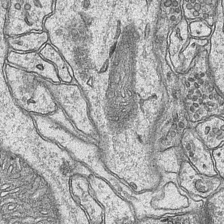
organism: Mouse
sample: CA1 Hippocampus